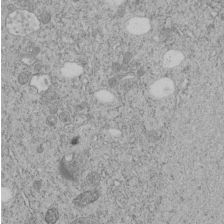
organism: C. elegans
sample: C. elegans embryo early stage